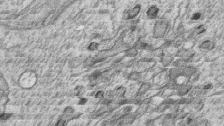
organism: Zebrafish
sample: synaptic ribbons in rod cells and cone cells